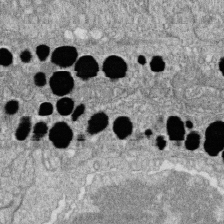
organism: Zebrafish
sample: Cilia; retinal pigment epithelium